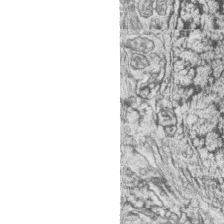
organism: Zebrafish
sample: synaptic ribbons in rod cells and cone cells